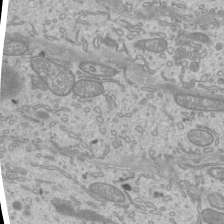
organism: Mouse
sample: Cilia; mouse epididymis